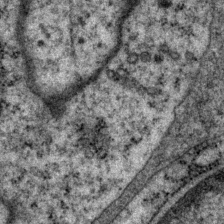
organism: P. pacificus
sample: Pharynx